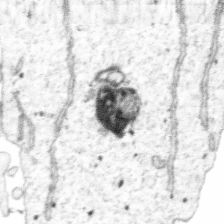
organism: Human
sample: HeLa cells